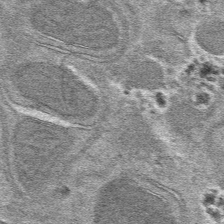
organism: Mouse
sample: Mouse hepatocytes